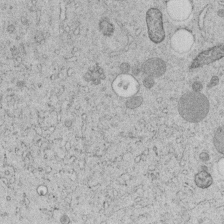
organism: C. elegans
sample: C. elegans embryo early stage